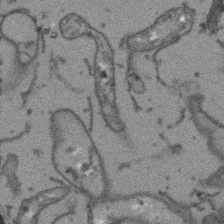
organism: Arabidopsis thaliana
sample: Root tip